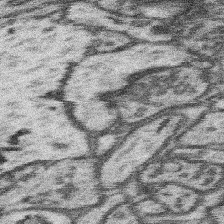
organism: Mouse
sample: Somatosensory cortex neuropil